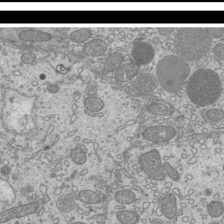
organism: Mouse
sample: Cilia; mouse epididymis